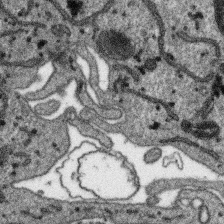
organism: Human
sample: Lung epithelial cells infected with SARS-CoV-2